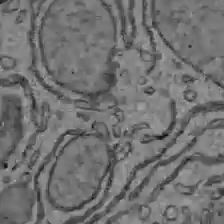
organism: C57BL Mouse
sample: Liver